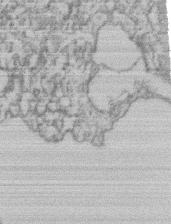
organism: Mouse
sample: T cell stromal cell synapse